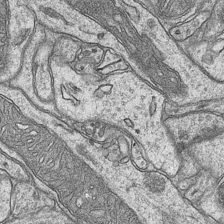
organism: Mouse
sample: CA1 Hippocampus